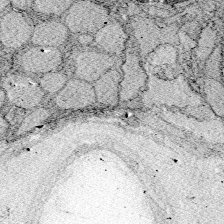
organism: Zebrafish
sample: Whole-Brain